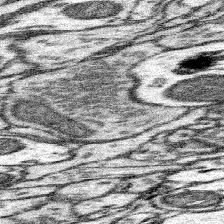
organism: Mouse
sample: Somatosensory cortex neuropil